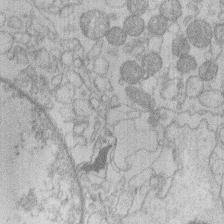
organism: Human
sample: Macrophage cells